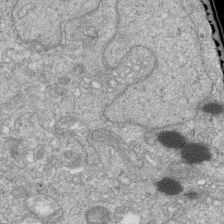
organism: Human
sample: HeLa cell HIV synapse